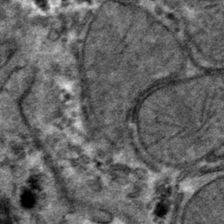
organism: Mouse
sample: Mouse hepatocytes